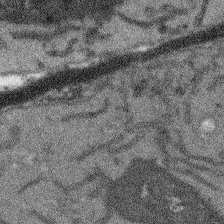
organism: Arabidopsis thaliana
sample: Root tip